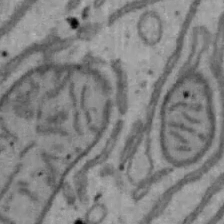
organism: Mouse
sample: Liver